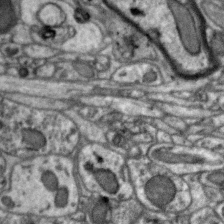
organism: Zebra finch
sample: Brain